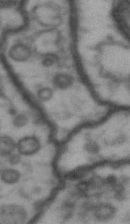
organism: Drosophila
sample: Brain